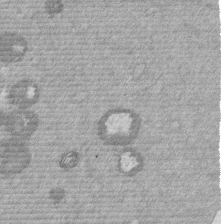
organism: Mouse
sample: Dividing mouse embryo 1 cell stage